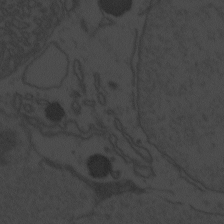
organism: Zebrafish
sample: Macrophage infected with Toxoplasma gondii